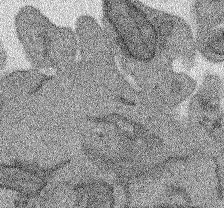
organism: Human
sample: HeLa cells